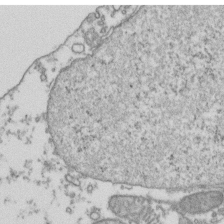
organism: Human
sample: Activated Jurkat CD4+ T cells